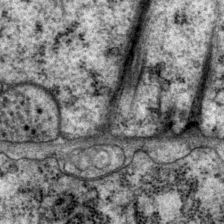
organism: P. pacificus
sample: Pharynx